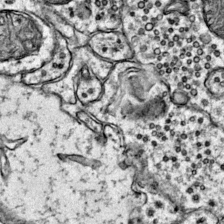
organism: Mouse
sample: Primary visual cortex